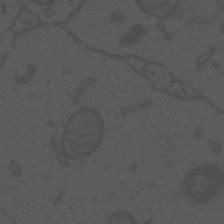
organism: Mouse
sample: Suprachiasmatic nucleus